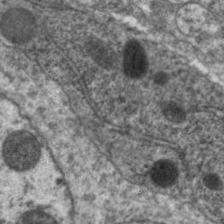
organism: C. elegans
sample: Pharynx